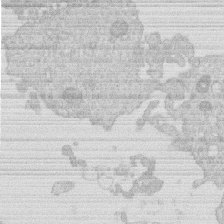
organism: Human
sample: Macrophage cells